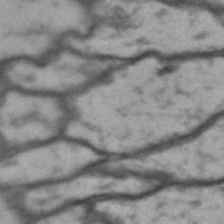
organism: Drosophila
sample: Brain